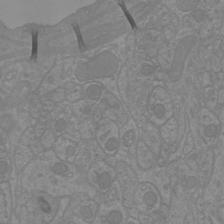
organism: Mouse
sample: Cortical neurons